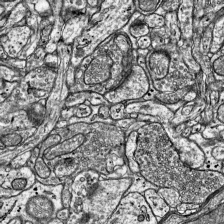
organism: Mouse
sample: Visual Cortex